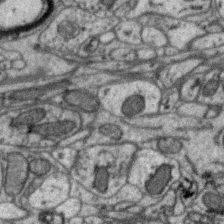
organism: Zebra finch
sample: Brain